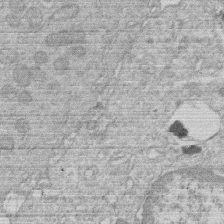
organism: Human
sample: Macrophage cells